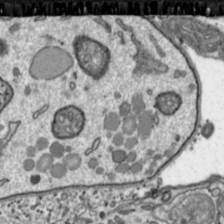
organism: Toxoplasma gondii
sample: Parasites in a vacuole inside a host cell